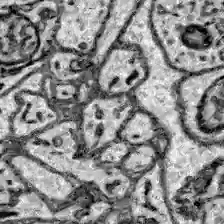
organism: Zebrafish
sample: Brain